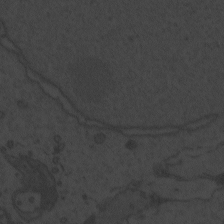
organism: Zebrafish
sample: Macrophage infected with Toxoplasma gondii